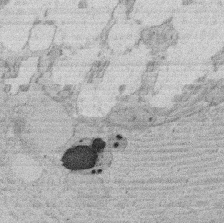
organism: Rat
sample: Salivary granule